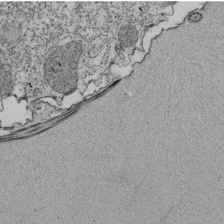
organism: Tetrahymena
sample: Cilia in tetrahymena